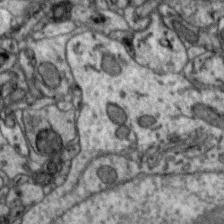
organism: Zebra finch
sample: Brain